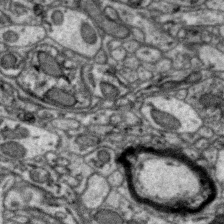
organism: Zebra finch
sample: Brain